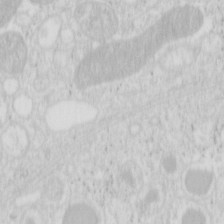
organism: Mouse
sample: Pancreas